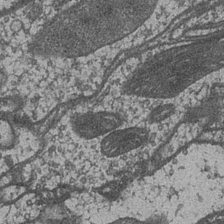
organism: Drosophila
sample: Optic medulla